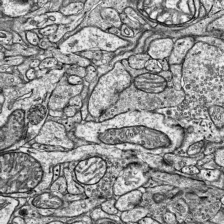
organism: Mouse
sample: Visual Cortex